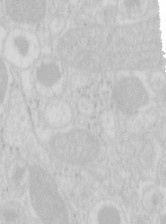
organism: Mouse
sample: Pancreas